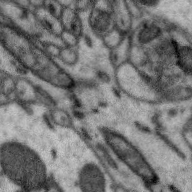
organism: Zebra finch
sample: Brain